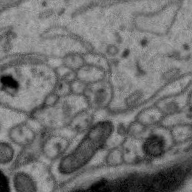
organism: Zebra finch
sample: Brain